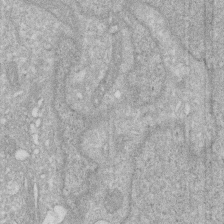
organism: Human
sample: HIV infected U937 cells